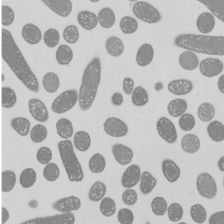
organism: E. coli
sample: Bacterial nucleoid